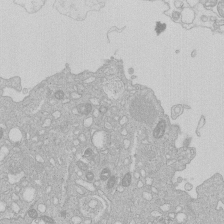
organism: Human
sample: Macrophage cells